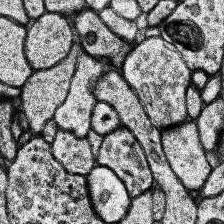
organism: Human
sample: Temporal Lobe